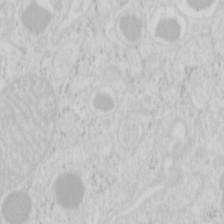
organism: Mouse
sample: Pancreas